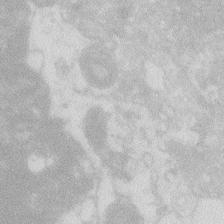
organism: Zebrafish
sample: Macrophage